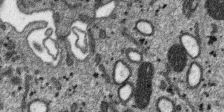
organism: Human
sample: Lung epithelial cells infected with SARS-CoV-2